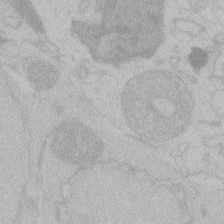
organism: Zebrafish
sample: Macrophage infected with Toxoplasma gondii